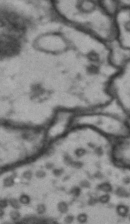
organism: Drosophila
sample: Brain